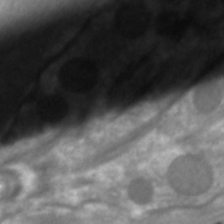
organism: C. elegans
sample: Pharynx